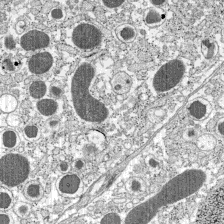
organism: C57BL Mouse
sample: Pancreatic islet